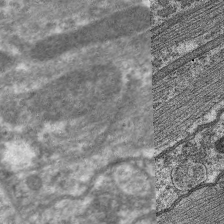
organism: C. elegans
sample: Pharynx